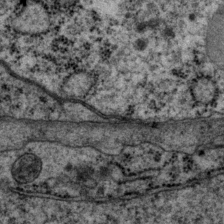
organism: P. pacificus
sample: Pharynx